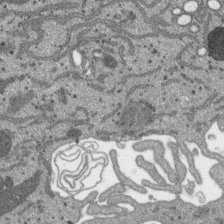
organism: Human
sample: Lung epithelial cells infected with SARS-CoV-2